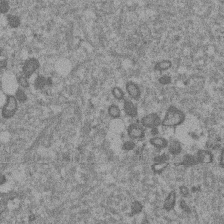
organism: Mouse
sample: Dividing mouse embryo 1 cell stage